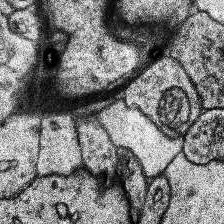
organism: Human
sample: Temporal Lobe